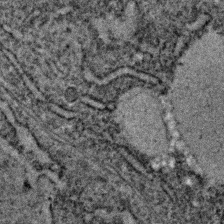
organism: C. elegans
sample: C. elegans embryo